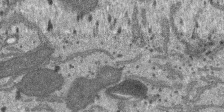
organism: Human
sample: Lung epithelial cells infected with SARS-CoV-2